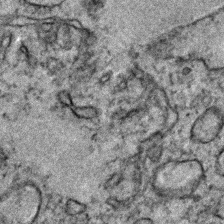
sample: Trachea